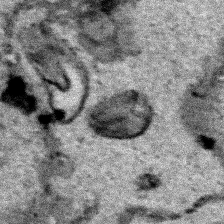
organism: Human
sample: Mitochondria in HCT116 cells